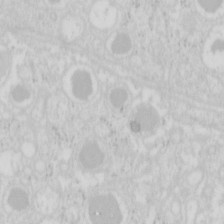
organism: Mouse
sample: Pancreas